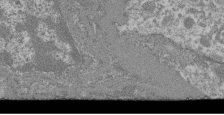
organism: Mouse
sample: Glomerulus